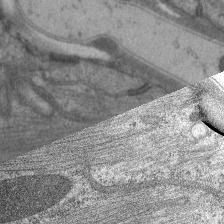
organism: C. elegans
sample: Pharynx